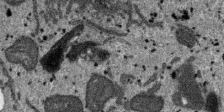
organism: Human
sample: Lung epithelial cells, uninfected (mock) control